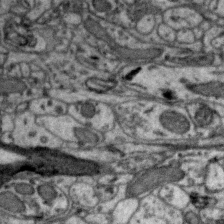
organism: Zebra finch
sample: Brain